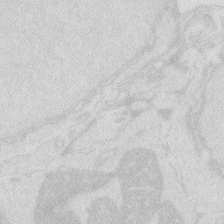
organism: Zebrafish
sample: Macrophage